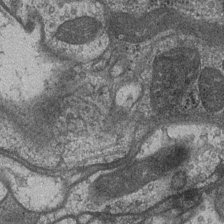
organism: Drosophila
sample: Optic medulla